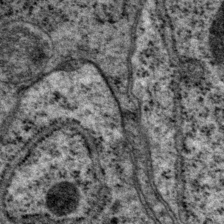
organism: P. pacificus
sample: Pharynx